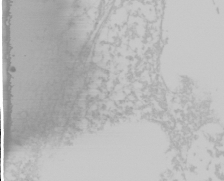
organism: Mouse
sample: Cancer cell death in ED-1 cells